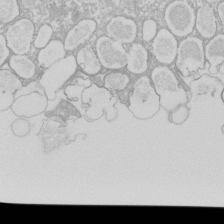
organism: Xenopus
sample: Cilia; centrioles in frog embryo cells